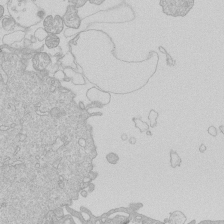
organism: Human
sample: Macrophage cells